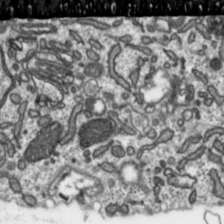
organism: Toxoplasma gondii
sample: Parasites in a vacuole inside a host cell